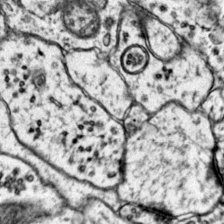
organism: Mouse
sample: Primary visual cortex